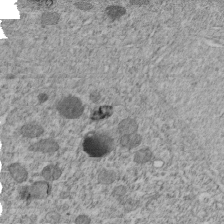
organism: C. elegans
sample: C. elegans embryo early stage